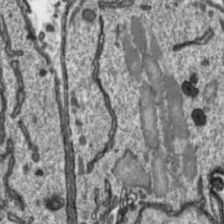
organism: Toxoplasma gondii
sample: Parasites in a vacuole inside a host cell